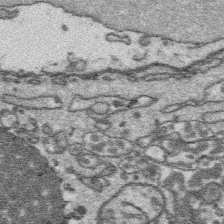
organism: Platynereis dumerilii